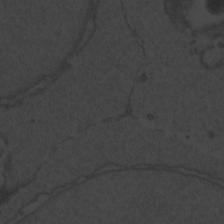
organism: Zebrafish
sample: Macrophage infected with Toxoplasma gondii